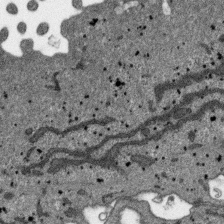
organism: Human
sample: Lung epithelial cells, uninfected (mock) control